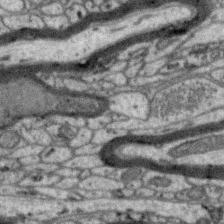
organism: Zebra finch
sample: Brain